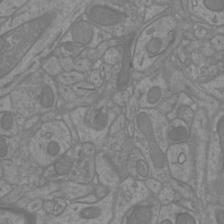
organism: Mouse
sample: Cortical neurons